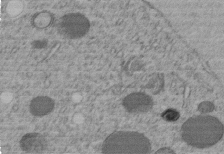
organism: C. elegans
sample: C. elegans embryo early stage